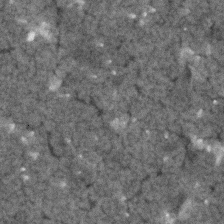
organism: Human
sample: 1205lu cells